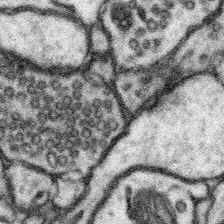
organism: Mouse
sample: Somatosensory cortex neuropil